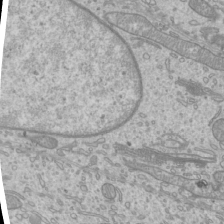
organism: Mouse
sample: Cilia; mouse epididymis